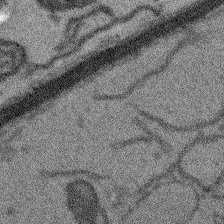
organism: Arabidopsis thaliana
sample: Root tip